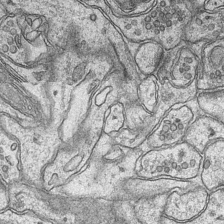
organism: Mouse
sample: CA1 Hippocampus